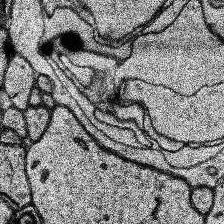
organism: Human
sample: Temporal Lobe